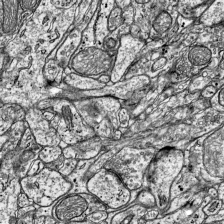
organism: Mouse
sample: Visual Cortex